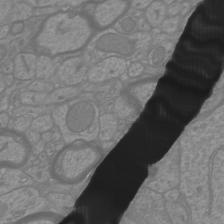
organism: Mouse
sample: Cortical neurons